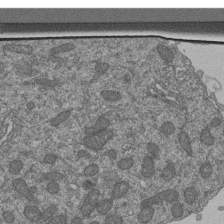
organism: Human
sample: Retinal organoid Rod and Cone cells